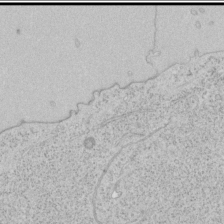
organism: Human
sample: Mitochondria in HCT116 cells